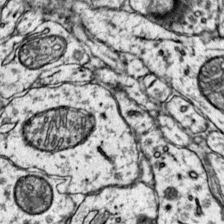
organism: Mouse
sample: Primary visual cortex